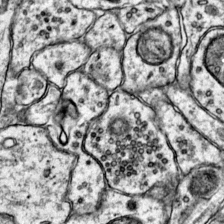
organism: Mouse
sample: Primary visual cortex